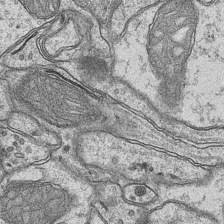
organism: Mouse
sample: CA1 Hippocampus